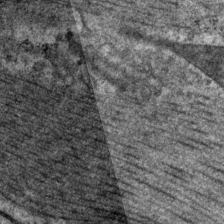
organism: P. pacificus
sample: Pharynx